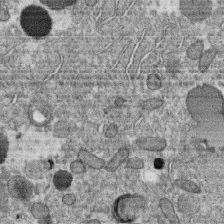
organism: C. elegans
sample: C. elegans oocyte; sperm cells